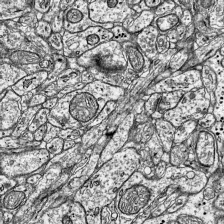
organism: Mouse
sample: Visual Cortex